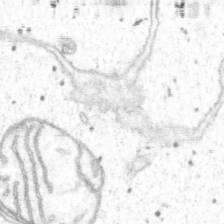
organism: Human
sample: HeLa cells